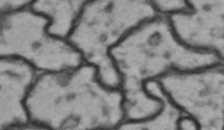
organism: Drosophila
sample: Brain